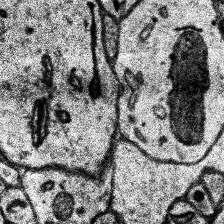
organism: Human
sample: Temporal Lobe